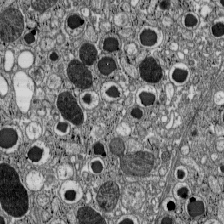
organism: C57BL Mouse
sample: Pancreatic islet